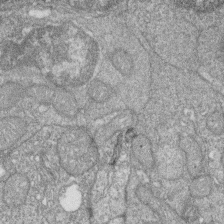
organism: Zebrafish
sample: Cilia; retinal pigment epithelium